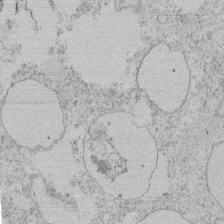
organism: Tetrahymena